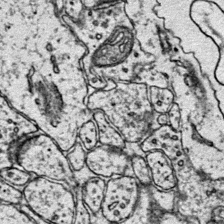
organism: Mouse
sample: Primary visual cortex